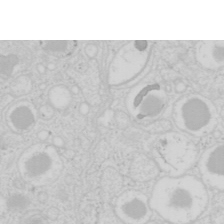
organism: Mouse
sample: Pancreas